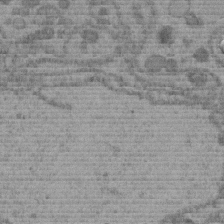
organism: C. elegans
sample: C. elegans embryo early stage